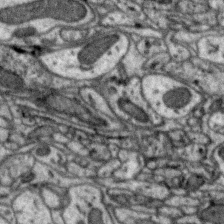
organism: Zebra finch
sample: Brain